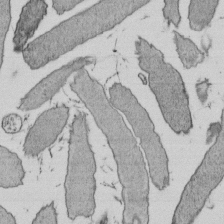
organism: E. coli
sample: Bacterial nucleoid